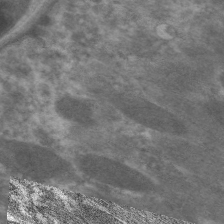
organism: C. elegans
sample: Pharynx